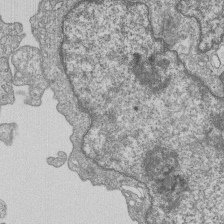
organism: Human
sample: MDA-MB-231 cells